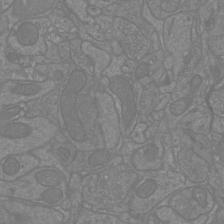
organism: Mouse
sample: Cortical neurons